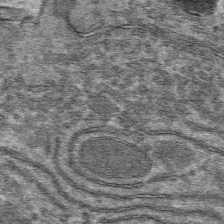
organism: Mouse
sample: Mouse hepatocytes